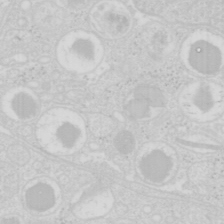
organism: Mouse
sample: Pancreas